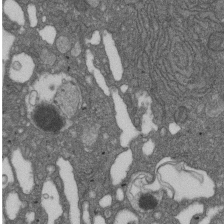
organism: Drosophila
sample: Nephrocyte